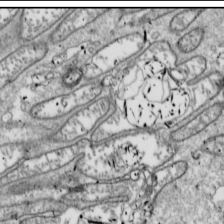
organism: Drosophila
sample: Cell division; meiosis; drosophila spermatocytes